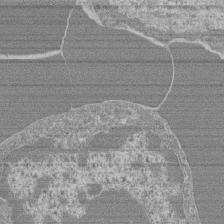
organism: Mouse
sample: Glomerulus